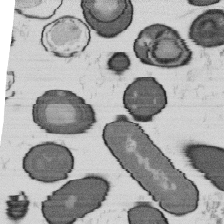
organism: B. subtilis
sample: Bacterial spore